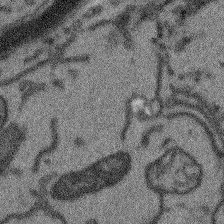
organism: Arabidopsis thaliana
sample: Root tip